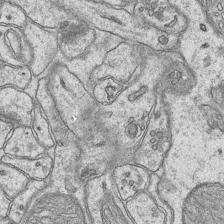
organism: Mouse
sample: CA1 Hippocampus